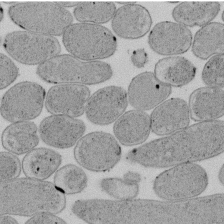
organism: E. coli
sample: Bacterial nucleoid